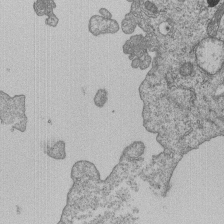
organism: Human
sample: MDA-MB-231 cells